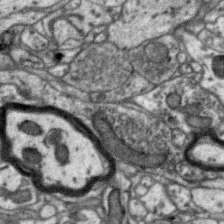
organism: Zebra finch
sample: Brain